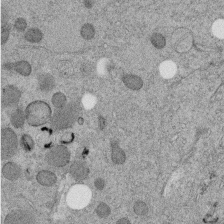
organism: C. elegans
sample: C. elegans embryo early stage